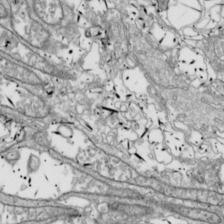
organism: Drosophila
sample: Cell division; meiosis; drosophila spermatocytes